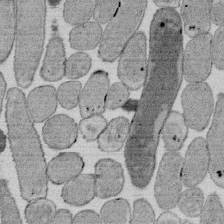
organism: E. coli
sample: Bacterial nucleoid